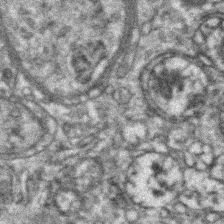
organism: Zebrafish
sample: Zebrafish embryo